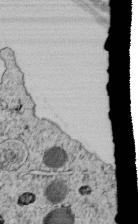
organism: C. elegans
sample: C. elegans embryo early stage